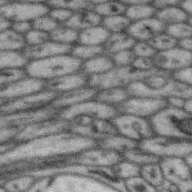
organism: Zebra finch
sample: Brain